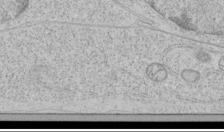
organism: Human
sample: Mitochondria in HCT116 cells